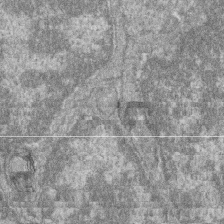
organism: Zebrafish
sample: Cilia; retinal pigment epithelium